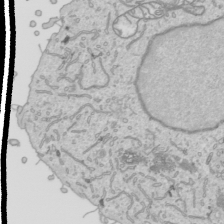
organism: Human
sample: Mitochondria in HCT116 cells